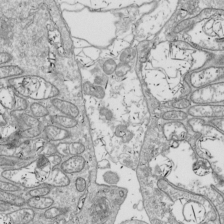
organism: Drosophila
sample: Cell division; meiosis; drosophila spermatocytes